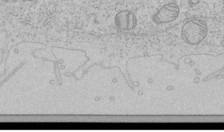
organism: Human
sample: Mitochondria in HCT116 cells